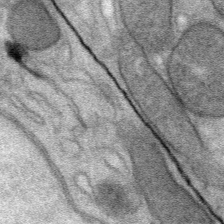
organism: Mouse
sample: Mouse Salivary gland